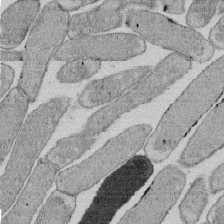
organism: E. coli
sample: Bacterial nucleoid